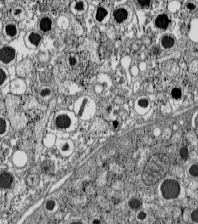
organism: C57BL Mouse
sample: Pancreatic islet